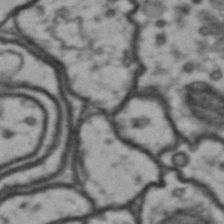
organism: Drosophila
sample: Brain